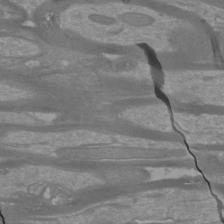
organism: Mouse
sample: Cortical neurons